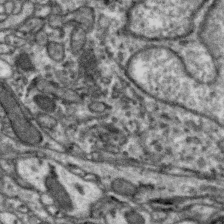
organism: Zebra finch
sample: Brain